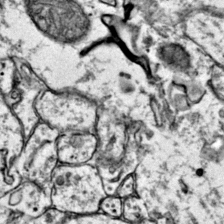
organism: Mouse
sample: Primary visual cortex